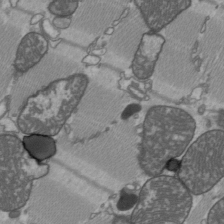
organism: C57BL Mouse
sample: Heart